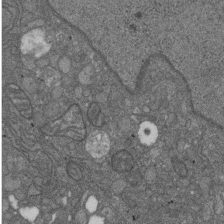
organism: Drosophila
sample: Nephrocyte